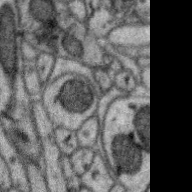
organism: Zebra finch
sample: Brain